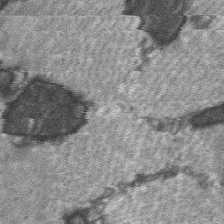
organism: C57BL Mouse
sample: Soleus